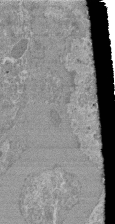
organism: Mouse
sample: Glomerulus